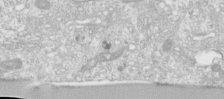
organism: Human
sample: Centriole in RPE cells